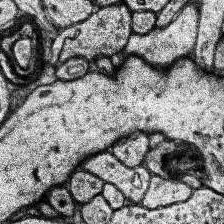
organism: Human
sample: Temporal Lobe